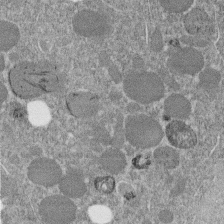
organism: C. elegans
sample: C. elegans embryo early stage